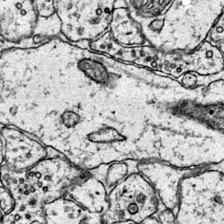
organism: Mouse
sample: Primary visual cortex